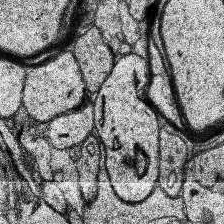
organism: Human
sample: Temporal Lobe